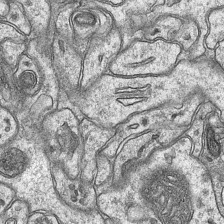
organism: Mouse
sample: CA1 Hippocampus